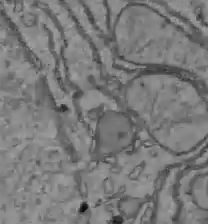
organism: C57BL Mouse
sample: Liver